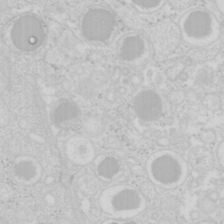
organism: Mouse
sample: Pancreas